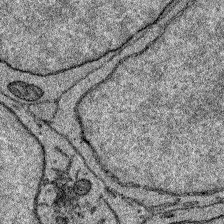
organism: Zebrafish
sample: Larval olfactory bulb